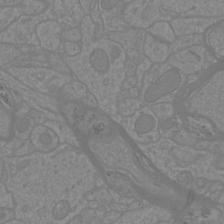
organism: Mouse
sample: Cortical neurons